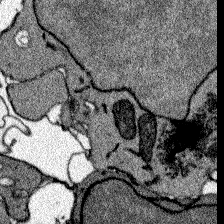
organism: Zebrafish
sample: Larval olfactory bulb